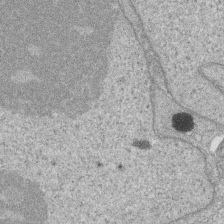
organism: Human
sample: HeLa cell HIV synapse